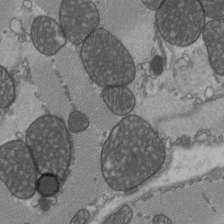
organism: C57BL Mouse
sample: Heart